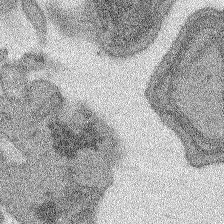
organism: Human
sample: HeLa cells